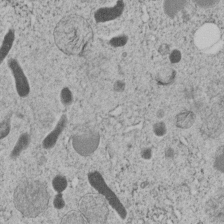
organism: C. elegans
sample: C. elegans embryo early stage